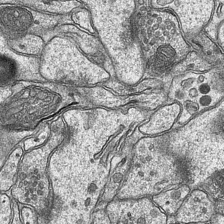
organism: Mouse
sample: CA1 Hippocampus